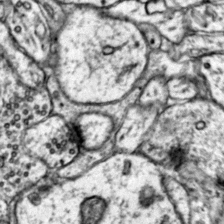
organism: Mouse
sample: Primary visual cortex